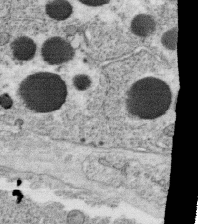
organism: C. elegans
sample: C. elegans oocyte; sperm cells